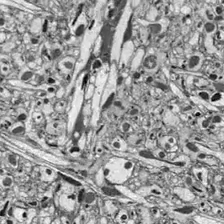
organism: Drosophila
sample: Optic lobe